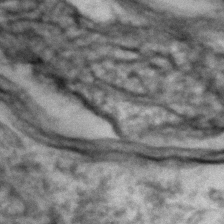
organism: Zebrafish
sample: Zebrafish embryo